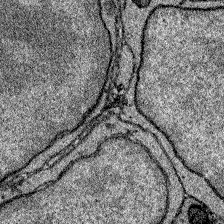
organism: Zebrafish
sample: Larval olfactory bulb